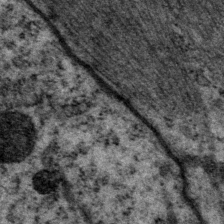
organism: P. pacificus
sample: Pharynx